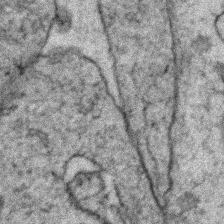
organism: Zebrafish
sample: Zebrafish embryo